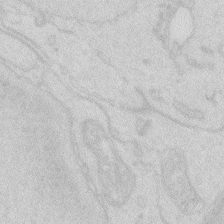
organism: Zebrafish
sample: Macrophage